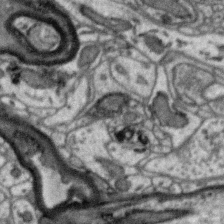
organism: Zebra finch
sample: Brain